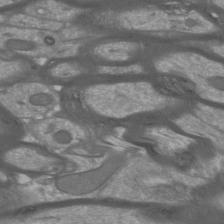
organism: Mouse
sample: Cortical neurons